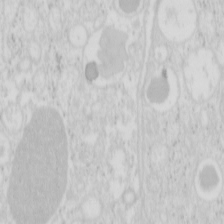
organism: Mouse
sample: Pancreas